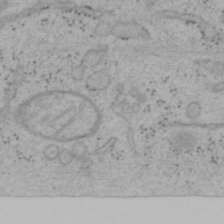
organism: Human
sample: HeLa cells